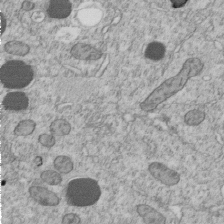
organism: C. elegans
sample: C. elegans embryo early stage